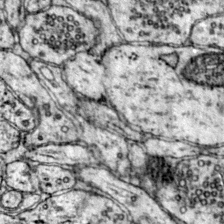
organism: Mouse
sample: Primary visual cortex